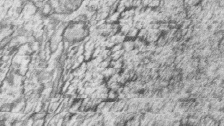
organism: Zebrafish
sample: synaptic ribbons in rod cells and cone cells